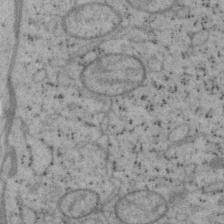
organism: Human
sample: HeLa cells